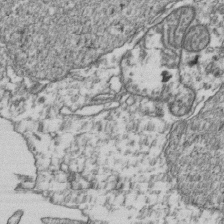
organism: Human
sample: Activated Jurkat CD4+ T cells